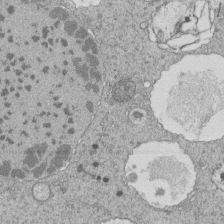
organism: Tetrahymena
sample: Cilia in tetrahymena